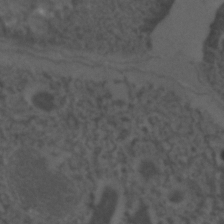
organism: C. elegans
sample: C. elegans embryo